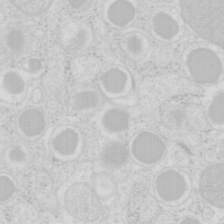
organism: Mouse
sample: Pancreas